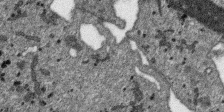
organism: Human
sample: Lung epithelial cells infected with SARS-CoV-2